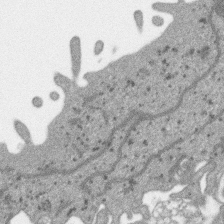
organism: Human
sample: Lung epithelial cells infected with SARS-CoV-2